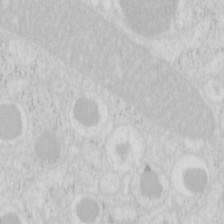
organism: Mouse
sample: Pancreas